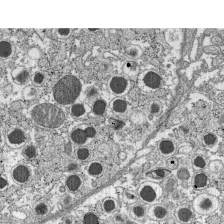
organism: C57BL Mouse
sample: Pancreatic islet